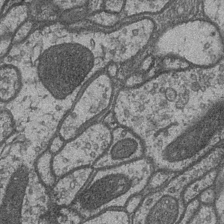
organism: Drosophila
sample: Optic medulla